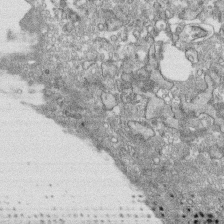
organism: Human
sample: CRL-1474